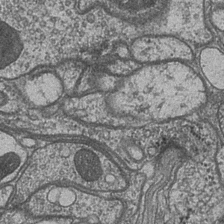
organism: Drosophila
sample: Optic medulla